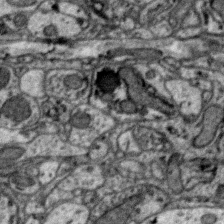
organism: Zebra finch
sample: Brain